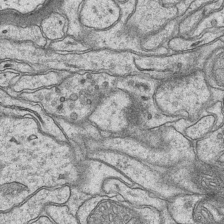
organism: Mouse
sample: CA1 Hippocampus